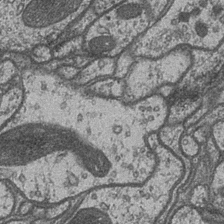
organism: Drosophila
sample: Optic medulla